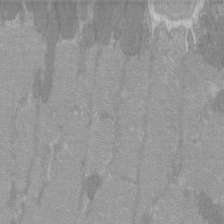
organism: C57BL Mouse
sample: Tibialis anterior muscle cell